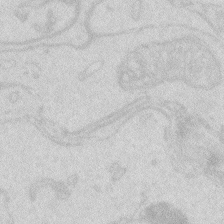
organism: Zebrafish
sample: Macrophage